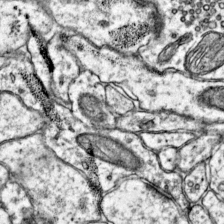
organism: Mouse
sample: Primary visual cortex